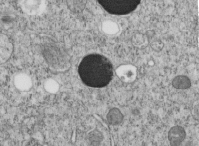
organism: C. elegans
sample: C. elegans embryo early stage